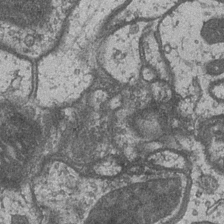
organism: Drosophila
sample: Optic medulla